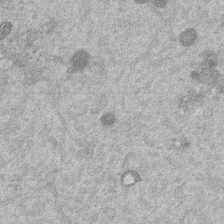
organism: Mouse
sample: Dividing mouse embryo 1 cell stage